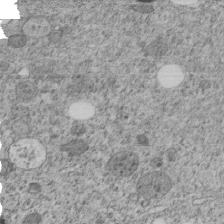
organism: C. elegans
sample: C. elegans embryo early stage